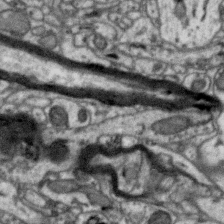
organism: Zebra finch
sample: Brain